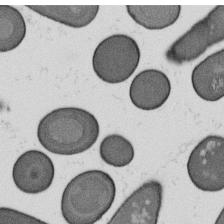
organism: B. subtilis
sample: Bacterial spore